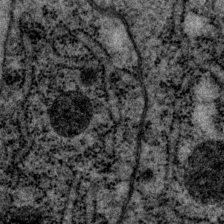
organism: P. pacificus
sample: Pharynx